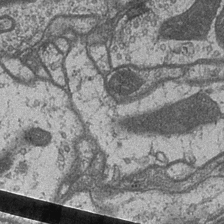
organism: Drosophila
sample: Optic medulla